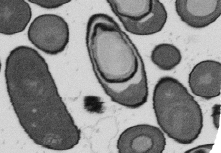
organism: B. subtilis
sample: Bacterial spore